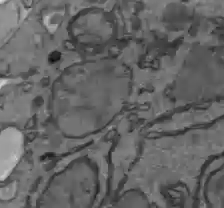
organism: C57BL Mouse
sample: Liver